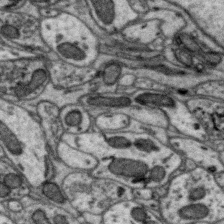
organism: Zebra finch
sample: Brain